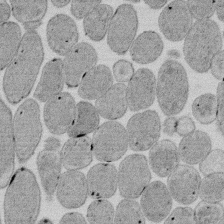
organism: E. coli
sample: Bacterial nucleoid